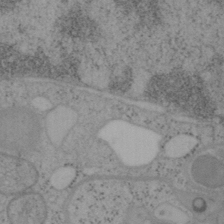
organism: Mouse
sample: OT-I killer T cells with ID8 ovarian cancer cells